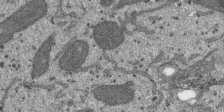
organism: Human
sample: Lung epithelial cells infected with SARS-CoV-2